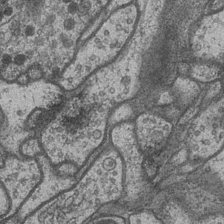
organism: Drosophila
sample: Optic medulla